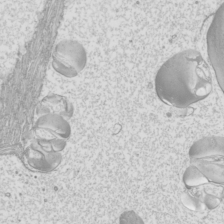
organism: Mouse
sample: Cilia; mouse epididymis